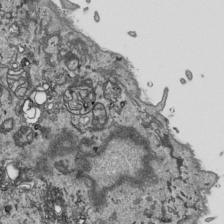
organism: Human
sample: Mitochondria in HCT116 cells